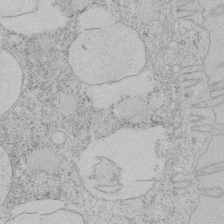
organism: Tetrahymena